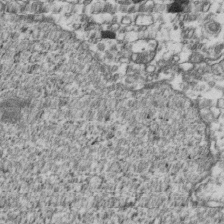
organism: Human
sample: Activated Jurkat CD4+ T cells